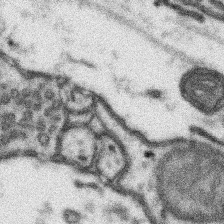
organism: Mouse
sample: Somatosensory cortex neuropil